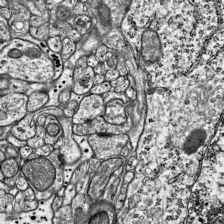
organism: Mouse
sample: Visual Cortex